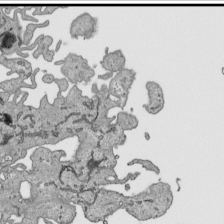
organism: Human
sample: Mitochondria in HCT116 cells